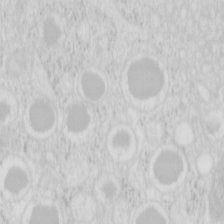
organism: Mouse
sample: Pancreas